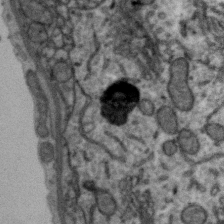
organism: Zebra finch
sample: Brain